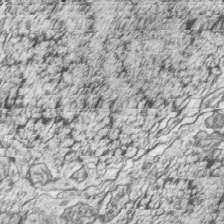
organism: Zebrafish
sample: synaptic ribbons in rod cells and cone cells